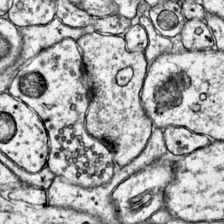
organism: Mouse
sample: Primary visual cortex